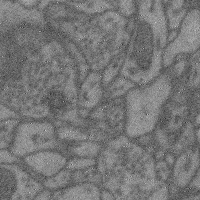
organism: Mouse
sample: Cerebral cortex